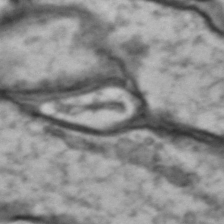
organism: Drosophila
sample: Brain